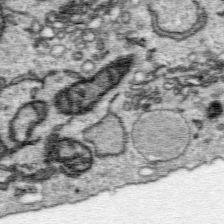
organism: Human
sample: HeLa cells